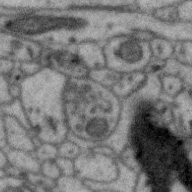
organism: Zebra finch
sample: Brain